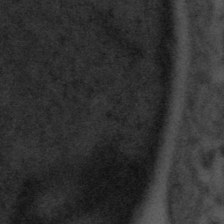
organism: Tuwongella immobilis